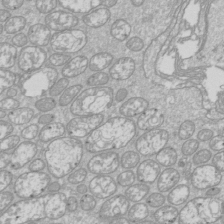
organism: Drosophila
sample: Cell division; meiosis; drosophila spermatocytes